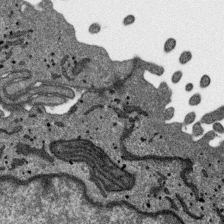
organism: Human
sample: Lung epithelial cells, uninfected (mock) control